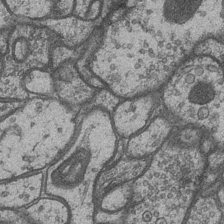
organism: Drosophila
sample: Optic medulla